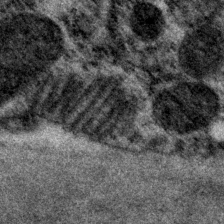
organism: P. pacificus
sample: Pharynx